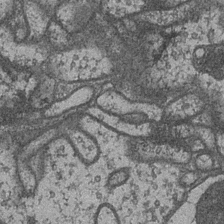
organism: Drosophila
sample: Optic medulla